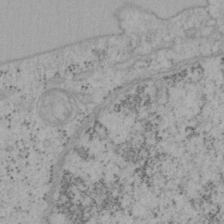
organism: Human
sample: HeLa cells